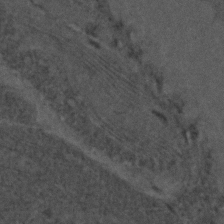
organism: C. elegans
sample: C. elegans embryo